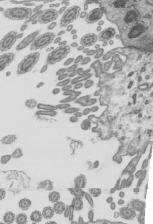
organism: Mouse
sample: Mouse epididymis efferent ductule cilia